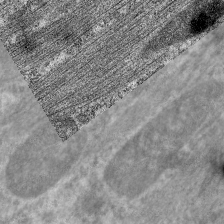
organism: C. elegans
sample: Pharynx